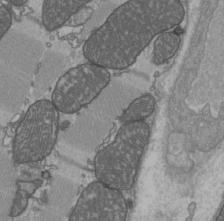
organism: C57BL Mouse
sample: Heart